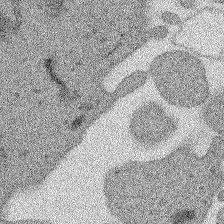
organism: Human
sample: HeLa cells